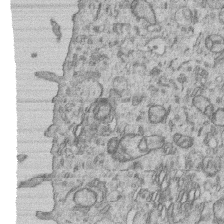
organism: Human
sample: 1205lu cells